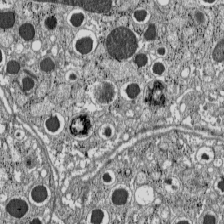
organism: C57BL Mouse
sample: Pancreatic islet